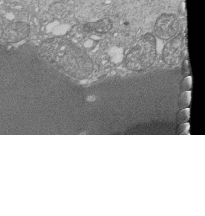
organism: Tetrahymena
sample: Cilia in tetrahymena